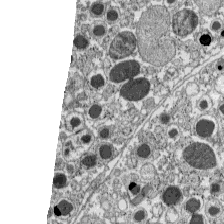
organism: C57BL Mouse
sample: Pancreatic islet